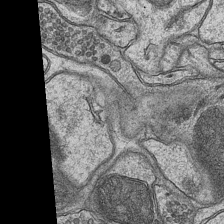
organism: Mouse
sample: CA1 Hippocampus